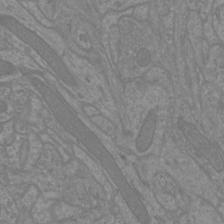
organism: Mouse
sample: Cortical neurons